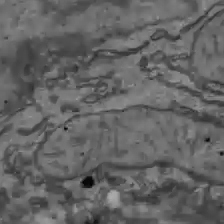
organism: C57BL Mouse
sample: Liver